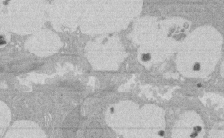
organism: Rat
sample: Salivary granule